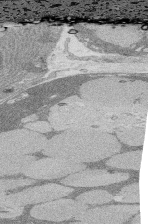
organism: Rat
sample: Salivary granule